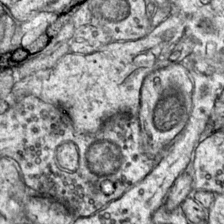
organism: Mouse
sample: Primary visual cortex